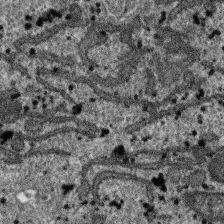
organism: Human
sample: Lung epithelial cells infected with SARS-CoV-2